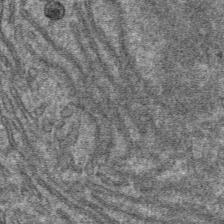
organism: Mouse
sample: Mouse hepatocytes